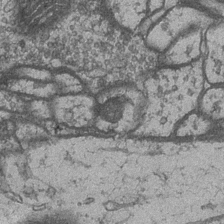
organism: Drosophila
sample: Optic medulla